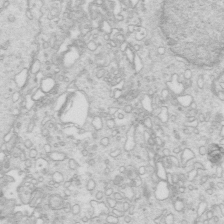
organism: Mouse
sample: Multiciliated cells